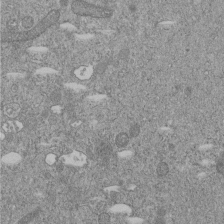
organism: C. elegans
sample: C. elegans embryo early stage